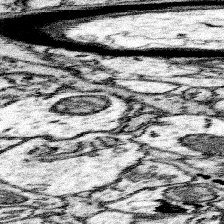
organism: Mouse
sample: Somatosensory cortex neuropil